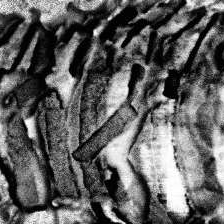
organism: Human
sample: Temporal Lobe